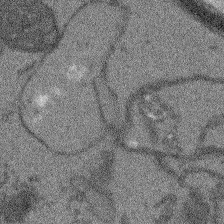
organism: Arabidopsis thaliana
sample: Root tip